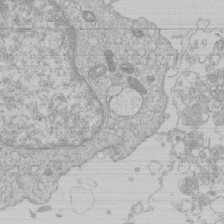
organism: Human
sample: Macrophage cells